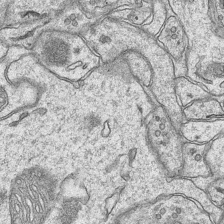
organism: Mouse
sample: CA1 Hippocampus